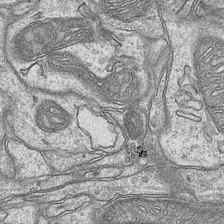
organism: Mouse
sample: CA1 Hippocampus